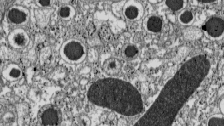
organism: C57BL Mouse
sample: Pancreatic islet